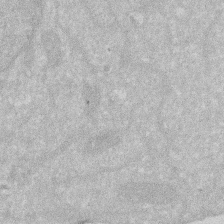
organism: Human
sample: HIV infected U937 cells